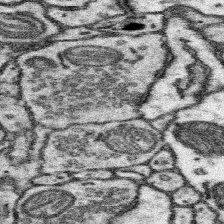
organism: Mouse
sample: Somatosensory cortex neuropil